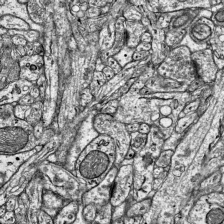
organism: Mouse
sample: Visual Cortex